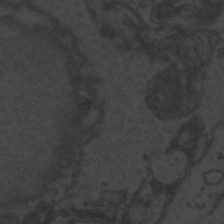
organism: Zebrafish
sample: Macrophage infected with Toxoplasma gondii